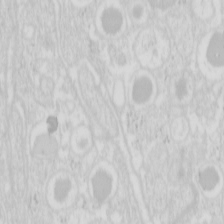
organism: Mouse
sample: Pancreas